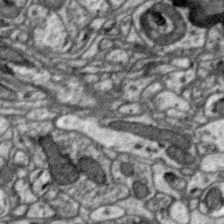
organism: Zebra finch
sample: Brain